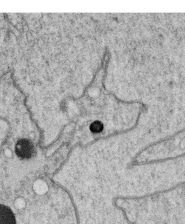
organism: C. elegans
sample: C. elegans oocyte; sperm cells